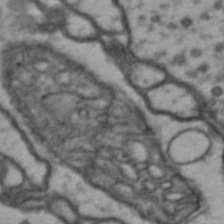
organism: Drosophila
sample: Brain